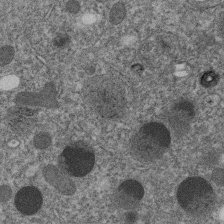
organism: C. elegans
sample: C. elegans embryo early stage